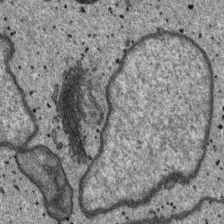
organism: Human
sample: Lung epithelial cells, uninfected (mock) control